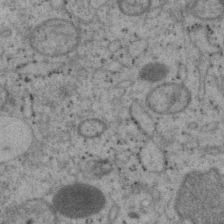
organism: Human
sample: HeLa cells